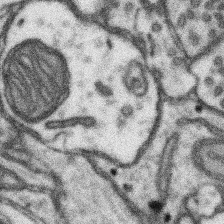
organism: Mouse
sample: Somatosensory cortex neuropil